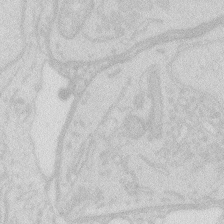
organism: Zebrafish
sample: Macrophage